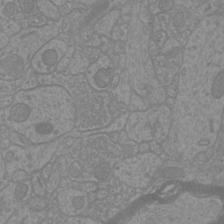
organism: Mouse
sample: Cortical neurons